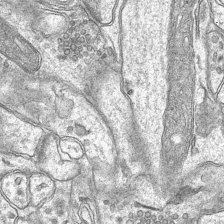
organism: Mouse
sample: CA1 Hippocampus